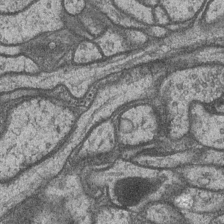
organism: Drosophila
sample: Optic medulla